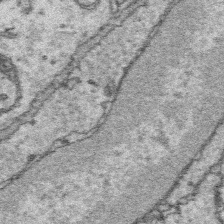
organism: Platynereis dumerilii